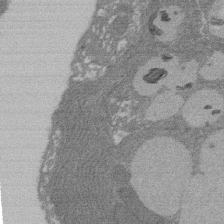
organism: Rat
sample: Salivary granule